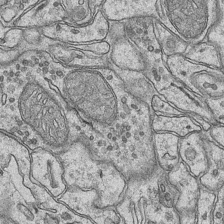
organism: Mouse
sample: CA1 Hippocampus